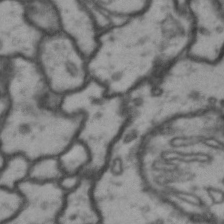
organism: Drosophila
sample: Brain